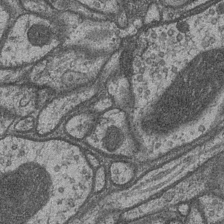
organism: Drosophila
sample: Optic medulla